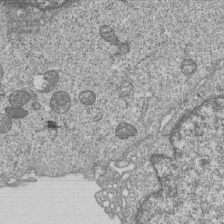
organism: Human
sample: MDA-MB-231 cells